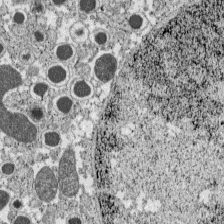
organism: C57BL Mouse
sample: Pancreatic islet